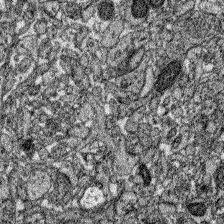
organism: Zebrafish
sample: Larval olfactory bulb